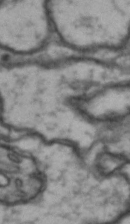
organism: Drosophila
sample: Brain